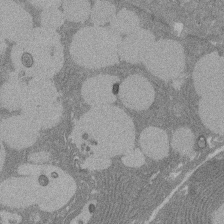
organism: Rat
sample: Salivary granule